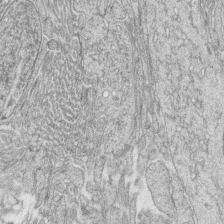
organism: Zebrafish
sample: synaptic ribbons in rod cells and cone cells